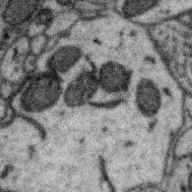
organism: Zebra finch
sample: Brain